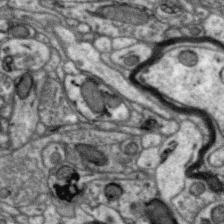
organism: Zebra finch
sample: Brain